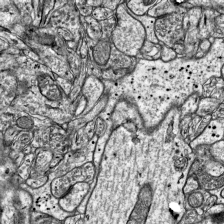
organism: Mouse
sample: Visual Cortex